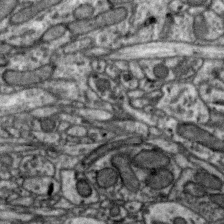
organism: Zebra finch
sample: Brain